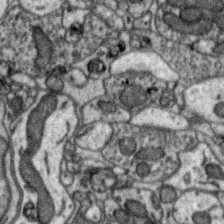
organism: Zebra finch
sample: Brain